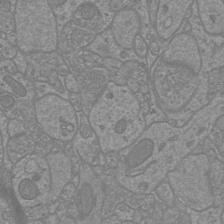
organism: Mouse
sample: Cortical neurons